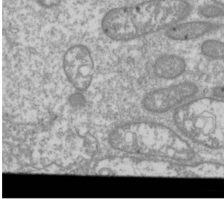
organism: Drosophila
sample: Cell division; meiosis; drosophila spermatocytes